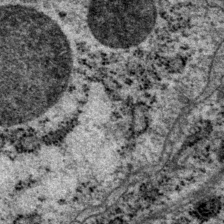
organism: P. pacificus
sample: Pharynx